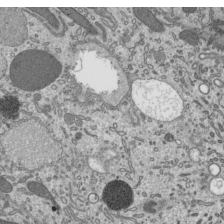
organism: Mouse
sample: Mouse epididymis efferent ductule cilia